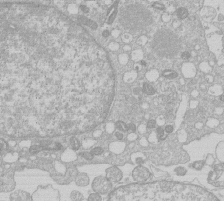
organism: Human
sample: Macrophage cells